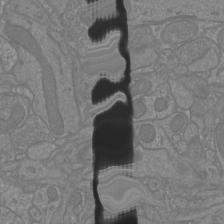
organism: Mouse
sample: Cortical neurons